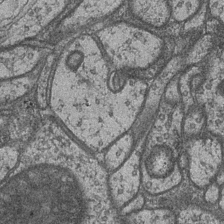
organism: Drosophila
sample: Optic medulla